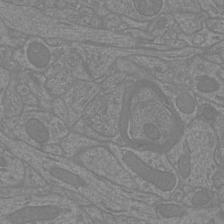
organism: Mouse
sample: Cortical neurons